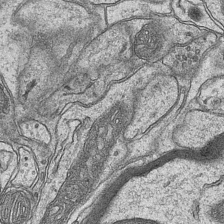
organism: Mouse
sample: CA1 Hippocampus